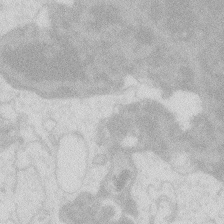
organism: Zebrafish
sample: Macrophage